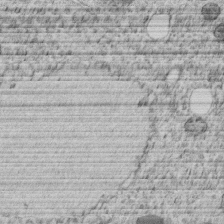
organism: C. elegans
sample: C. elegans embryo early stage